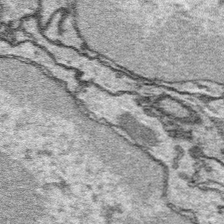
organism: Platynereis dumerilii